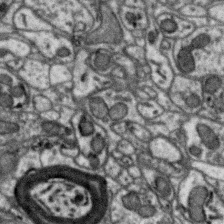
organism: Zebra finch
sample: Brain